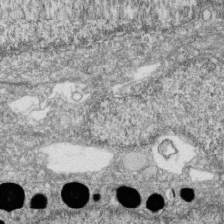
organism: Zebrafish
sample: Cilia; retinal pigment epithelium